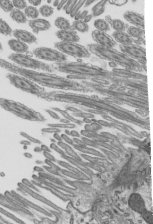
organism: Mouse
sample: Mouse epididymis efferent ductule cilia